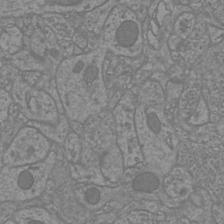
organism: Mouse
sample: Cortical neurons